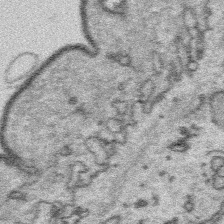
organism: Platynereis dumerilii